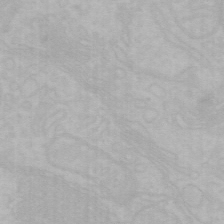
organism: Mouse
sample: Choroid plexus